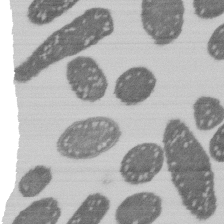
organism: E. coli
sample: Bacterial nucleoid